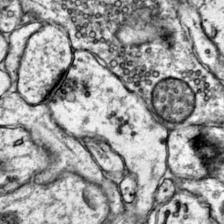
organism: Mouse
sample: Primary visual cortex